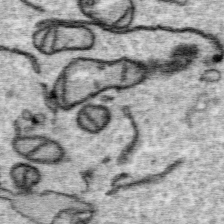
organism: Human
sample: HeLa cells